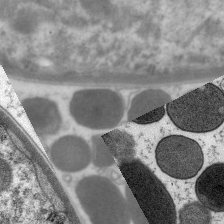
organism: C. elegans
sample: Pharynx